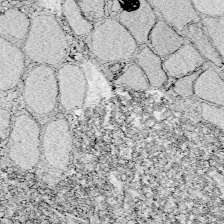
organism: Zebrafish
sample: Whole-Brain